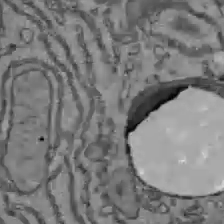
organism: C57BL Mouse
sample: Liver